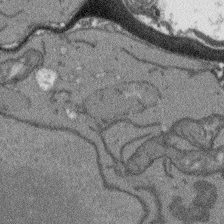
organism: Arabidopsis thaliana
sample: Root tip